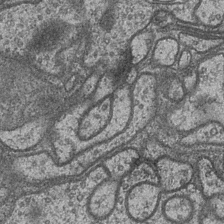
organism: Drosophila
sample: Optic medulla